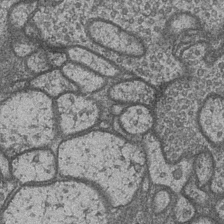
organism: Drosophila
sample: Optic medulla